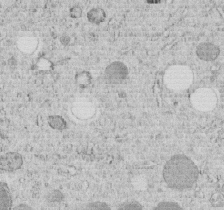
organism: C. elegans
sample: C. elegans embryo early stage